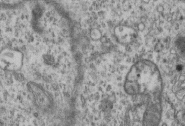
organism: Mouse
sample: Centriole in ependymal cells